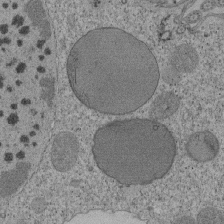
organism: Tetrahymena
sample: Cilia in tetrahymena